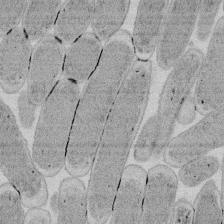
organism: E. coli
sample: Bacterial nucleoid